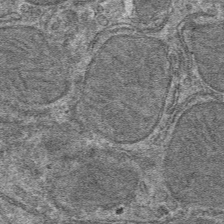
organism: Mouse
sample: Mouse hepatocytes